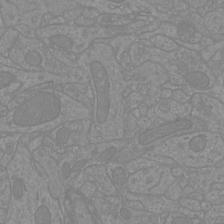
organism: Mouse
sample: Cortical neurons